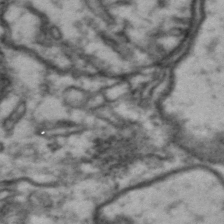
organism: Drosophila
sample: Brain